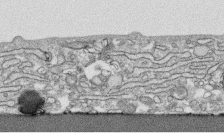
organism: Human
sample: CRL-1474